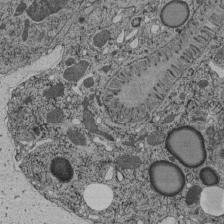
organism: C. elegans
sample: C. elegans pharynx